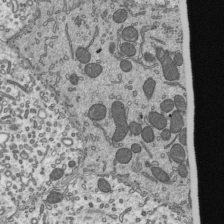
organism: Mouse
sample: Mouse epididymis efferent ductule cilia